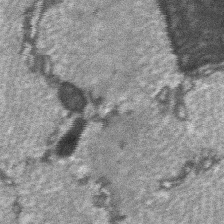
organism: C57BL Mouse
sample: Soleus